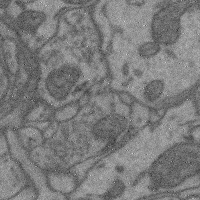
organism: Mouse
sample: Cerebral cortex